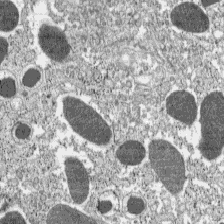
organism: C57BL Mouse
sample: Pancreatic islet